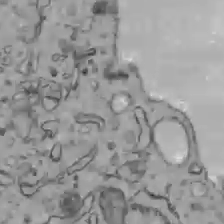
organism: C57BL Mouse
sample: Liver